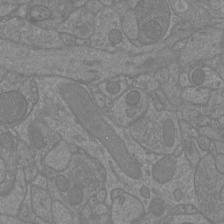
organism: Mouse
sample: Cortical neurons